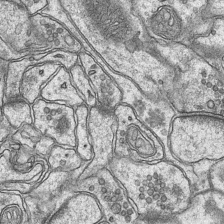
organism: Mouse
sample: CA1 Hippocampus